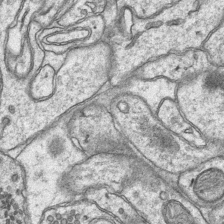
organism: Mouse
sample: CA1 Hippocampus